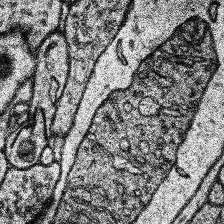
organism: Human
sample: Temporal Lobe